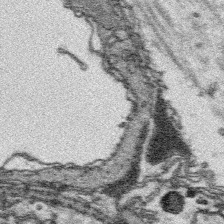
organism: Platynereis dumerilii